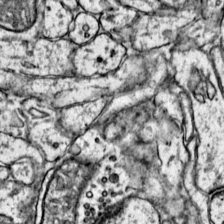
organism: Mouse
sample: Primary visual cortex